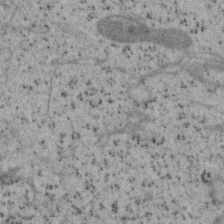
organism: Human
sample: HeLa cells